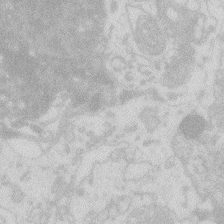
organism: Zebrafish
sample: Macrophage